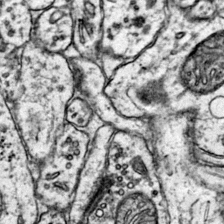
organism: Mouse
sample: Primary visual cortex